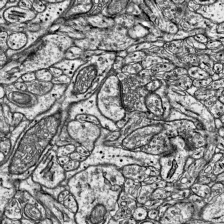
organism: Mouse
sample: Visual Cortex